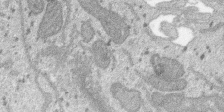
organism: Human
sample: Lung epithelial cells infected with SARS-CoV-2